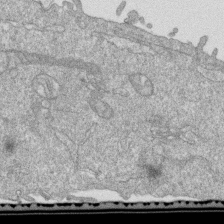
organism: Human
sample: HeLa cell HIV synapse